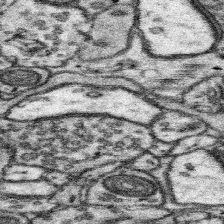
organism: Mouse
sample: Somatosensory cortex neuropil